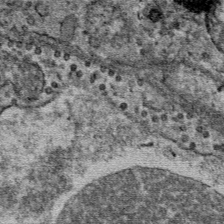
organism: Mouse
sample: Mouse Salivary gland